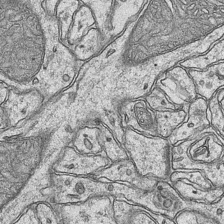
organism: Mouse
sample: CA1 Hippocampus